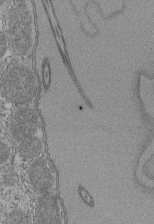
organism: Tetrahymena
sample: Cilia in tetrahymena